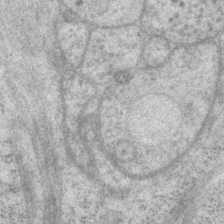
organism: P. pacificus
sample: Pharynx